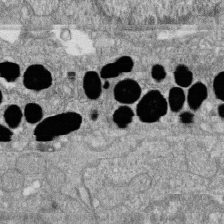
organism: Zebrafish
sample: Cilia; retinal pigment epithelium